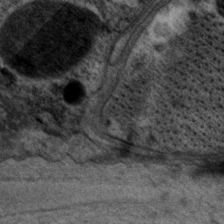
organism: P. pacificus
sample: Pharynx